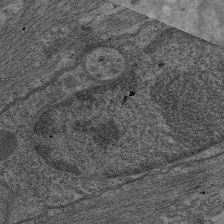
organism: C. elegans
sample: Pharynx